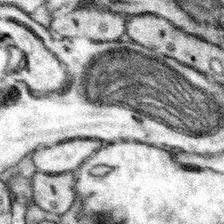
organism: Mouse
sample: Somatosensory cortex neuropil